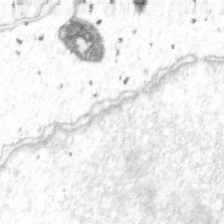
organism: Human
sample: HeLa cells